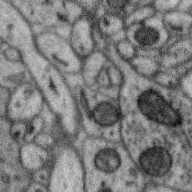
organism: Zebra finch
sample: Brain